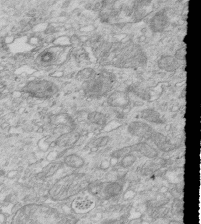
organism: Mouse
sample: Multiciliated cells